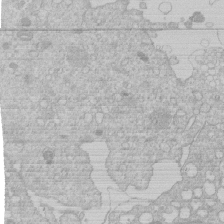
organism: Human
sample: Macrophage cells